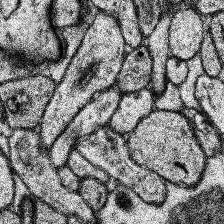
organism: Human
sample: Temporal Lobe